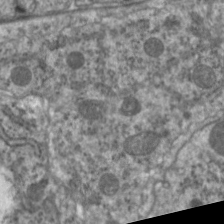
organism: C. elegans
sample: Pharynx